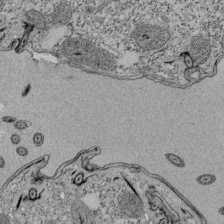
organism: Tetrahymena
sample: Cilia in tetrahymena